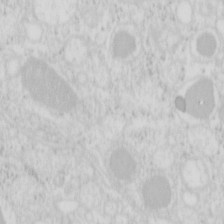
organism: Mouse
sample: Pancreas